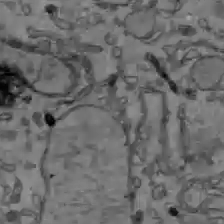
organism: C57BL Mouse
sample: Liver